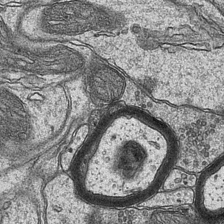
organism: Mouse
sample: CA1 Hippocampus